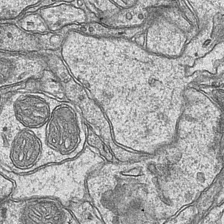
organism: Mouse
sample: CA1 Hippocampus